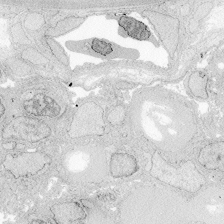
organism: Zebrafish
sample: Whole-Brain